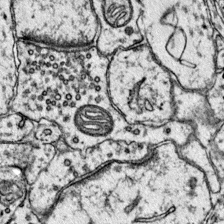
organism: Mouse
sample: Primary visual cortex